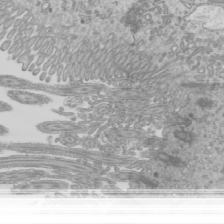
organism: Mouse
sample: Cilia; mouse epididymis